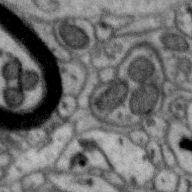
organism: Zebra finch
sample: Brain